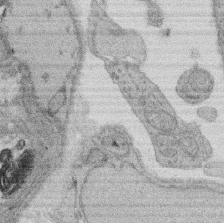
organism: Rat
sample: Salivary granule